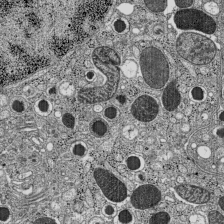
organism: C57BL Mouse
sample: Pancreatic islet